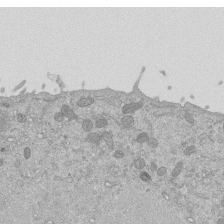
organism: Mouse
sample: ED-1 cell nuclei; centrioles